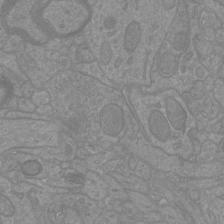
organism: Mouse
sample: Cortical neurons